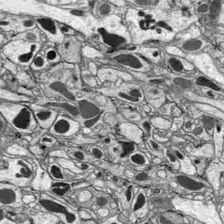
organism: Drosophila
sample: Optic lobe